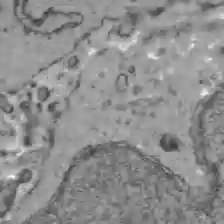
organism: C57BL Mouse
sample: Liver